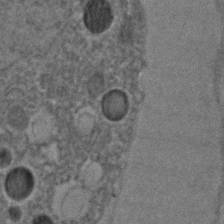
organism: C. elegans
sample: C. elegans embryo